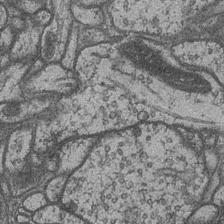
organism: Drosophila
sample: Optic medulla